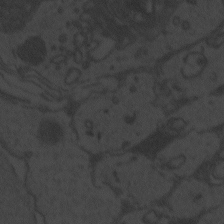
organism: Zebrafish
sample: Macrophage infected with Toxoplasma gondii